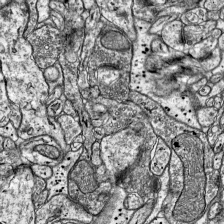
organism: Mouse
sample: Visual Cortex